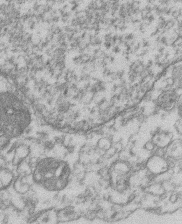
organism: Mouse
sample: T cell stromal cell synapse